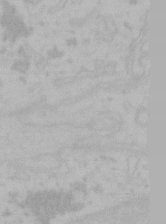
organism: Mouse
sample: Choroid plexus